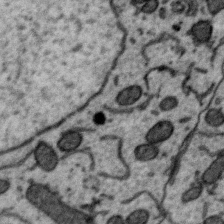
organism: Zebra finch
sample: Brain